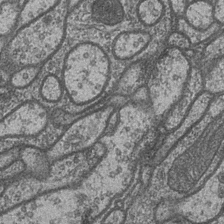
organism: Drosophila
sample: Optic medulla